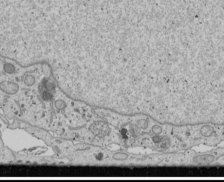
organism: Human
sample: Mitochondria in U2OS cells